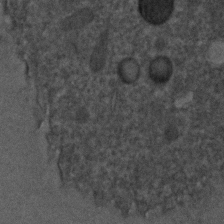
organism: C. elegans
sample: C. elegans embryo